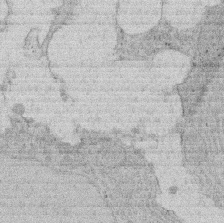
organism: Rat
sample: Salivary granule